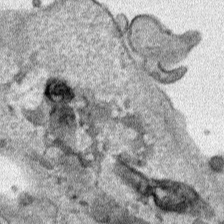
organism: Human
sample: Mitochondria in HCT116 cells